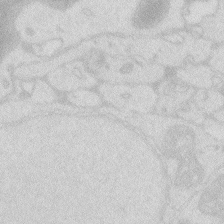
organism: Zebrafish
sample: Macrophage